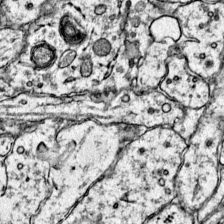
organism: Mouse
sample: Primary visual cortex